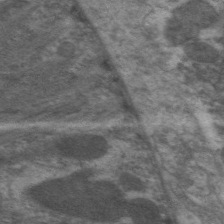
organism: C. elegans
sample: Pharynx